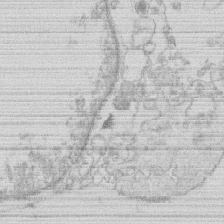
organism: Human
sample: Macrophage cells